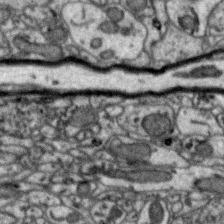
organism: Zebra finch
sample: Brain